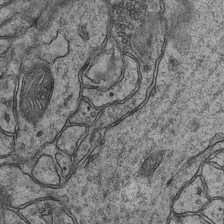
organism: Mouse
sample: CA1 Hippocampus